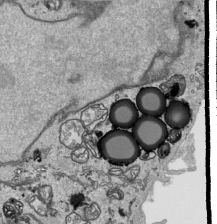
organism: Human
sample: Mitochondria in HCT116 cells